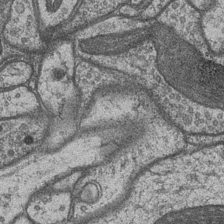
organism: Drosophila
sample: Optic medulla